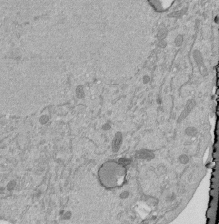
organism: Mouse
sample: ED-1 cell nuclei; centrioles